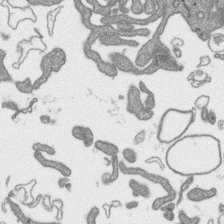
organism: Human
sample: Lung epithelial cells infected with SARS-CoV-2